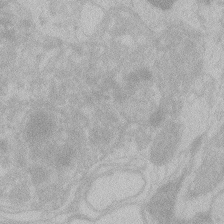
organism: Zebrafish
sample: Macrophage infected with Toxoplasma gondii